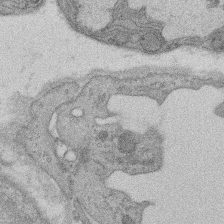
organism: Rat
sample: Salivary granule